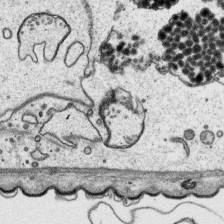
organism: Platynereis dumerilii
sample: Parapodia